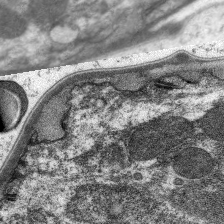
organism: C. elegans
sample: Pharynx